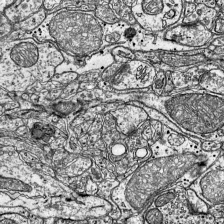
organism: Mouse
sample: Visual Cortex